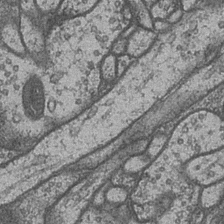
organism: Drosophila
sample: Optic medulla